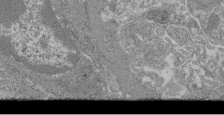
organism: Mouse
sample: Glomerulus